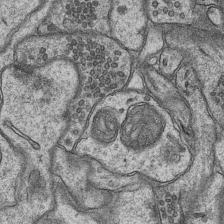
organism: Mouse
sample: CA1 Hippocampus